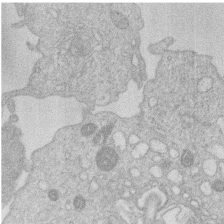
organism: Human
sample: Macrophage cells